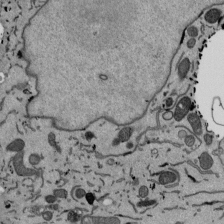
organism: Mouse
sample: ED-1 cell nuclei; centrioles